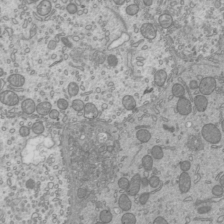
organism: Mouse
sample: Cilia; mouse epididymis